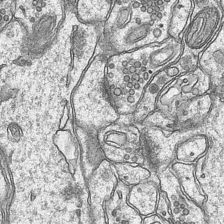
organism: Mouse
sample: CA1 Hippocampus